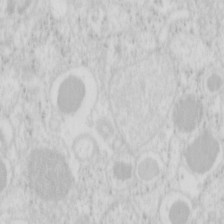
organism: Mouse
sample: Pancreas